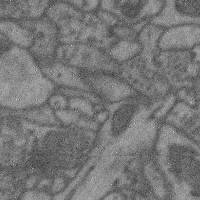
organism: Mouse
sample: Cerebral cortex